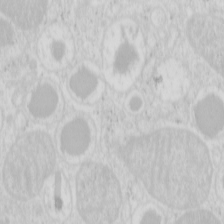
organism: Mouse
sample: Pancreas